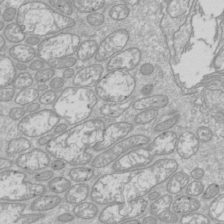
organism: Drosophila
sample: Cell division; meiosis; drosophila spermatocytes